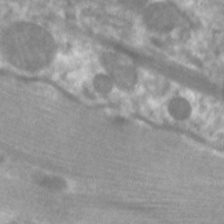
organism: C. elegans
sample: Pharynx